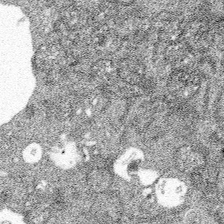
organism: Spongilla lacustris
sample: Multiple